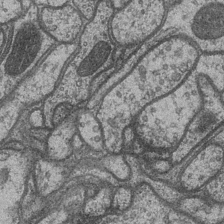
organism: Drosophila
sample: Optic medulla